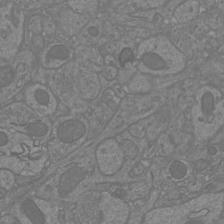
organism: Mouse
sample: Cortical neurons